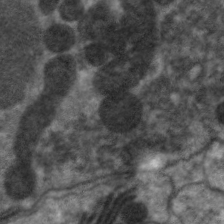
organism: C. elegans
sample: Pharynx